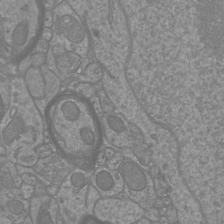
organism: Mouse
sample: Cortical neurons